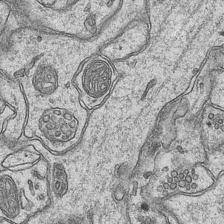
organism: Mouse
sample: CA1 Hippocampus